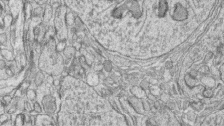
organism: Zebrafish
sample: synaptic ribbons in rod cells and cone cells